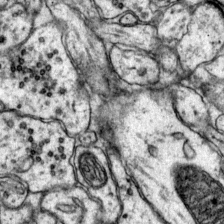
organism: Mouse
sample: Primary visual cortex